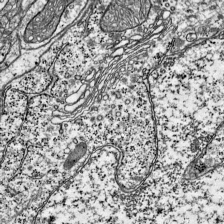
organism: Mouse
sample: Visual Cortex